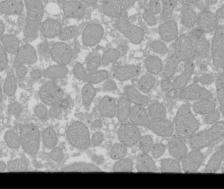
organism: Xenopus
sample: Cilia; centrioles in frog embryo cells